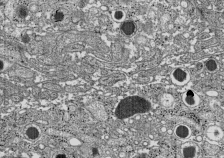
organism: C57BL Mouse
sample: Pancreatic islet